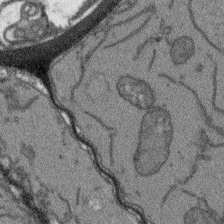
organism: Arabidopsis thaliana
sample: Root tip